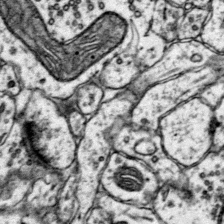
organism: Mouse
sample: Primary visual cortex